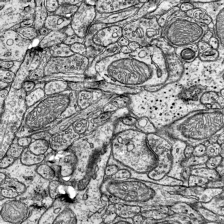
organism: Mouse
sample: Visual Cortex